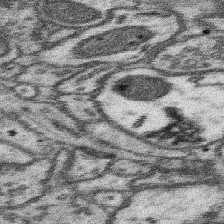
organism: Mouse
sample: Somatosensory cortex neuropil